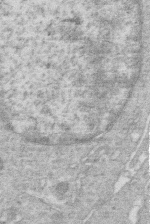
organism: Human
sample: Macrophage cells